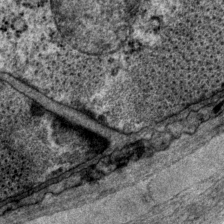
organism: P. pacificus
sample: Pharynx